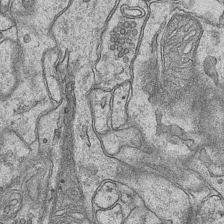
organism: Mouse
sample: CA1 Hippocampus